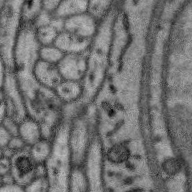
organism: Zebra finch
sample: Brain